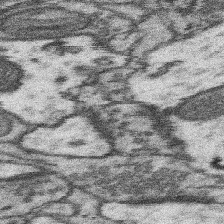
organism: Mouse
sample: Somatosensory cortex neuropil